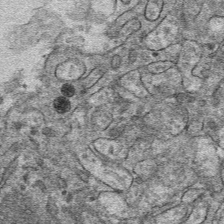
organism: Mouse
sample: Mouse hepatocytes